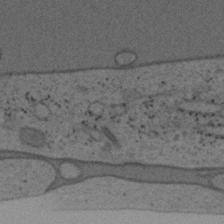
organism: Human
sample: HeLa cells